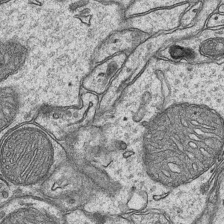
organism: Mouse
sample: CA1 Hippocampus